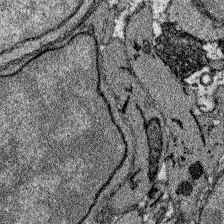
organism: Zebrafish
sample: Larval olfactory bulb